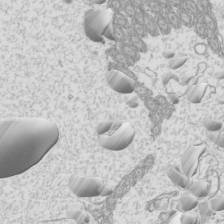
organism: Mouse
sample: Cilia; mouse epididymis